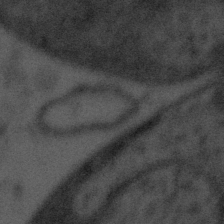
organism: Tuwongella immobilis